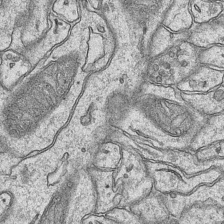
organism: Mouse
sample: CA1 Hippocampus